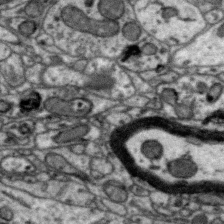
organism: Zebra finch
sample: Brain